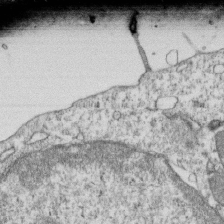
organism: Mouse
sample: Activated OT-1 CD8+ T cells